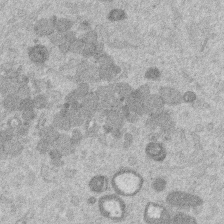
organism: Mouse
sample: Dividing mouse embryo 1 cell stage